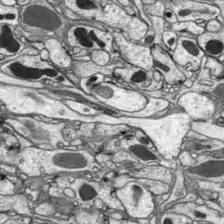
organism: Drosophila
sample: Optic lobe